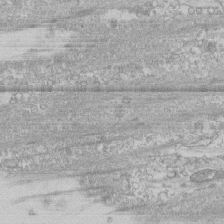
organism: Human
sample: CRL-1474